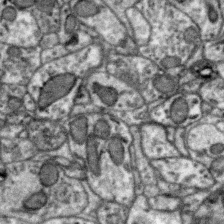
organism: Zebra finch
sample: Brain